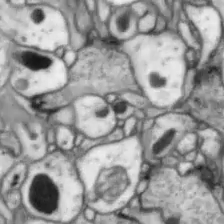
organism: Drosophila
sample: Optic lobe